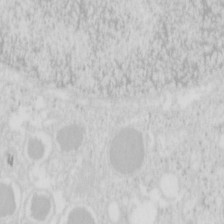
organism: Mouse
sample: Pancreas